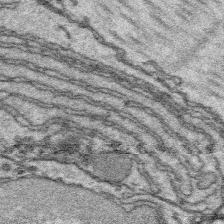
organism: Platynereis dumerilii